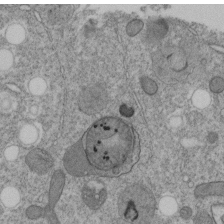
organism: C. elegans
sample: C. elegans embryo early stage